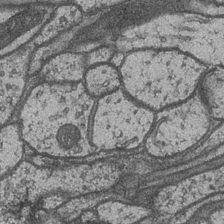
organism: Drosophila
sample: Optic medulla